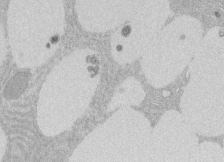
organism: Rat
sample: Salivary granule